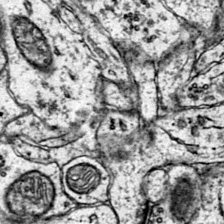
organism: Mouse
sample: Primary visual cortex